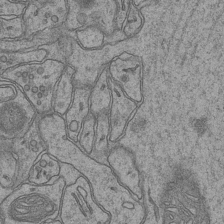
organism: Mouse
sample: CA1 Hippocampus